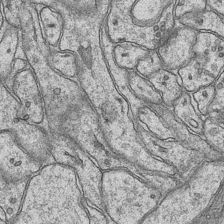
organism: Mouse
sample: CA1 Hippocampus